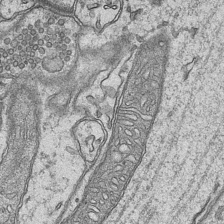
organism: Mouse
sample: CA1 Hippocampus